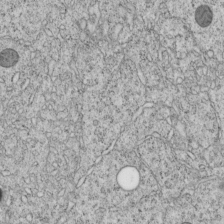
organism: C. elegans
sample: C. elegans embryo early stage